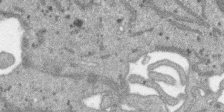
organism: Human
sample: Lung epithelial cells infected with SARS-CoV-2